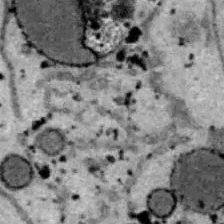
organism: Mouse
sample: Liver from an obese (ob/ob) mouse